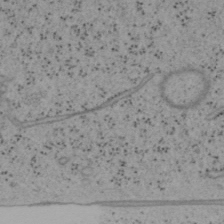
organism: Human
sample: HeLa cells